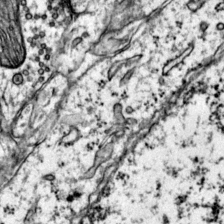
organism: Mouse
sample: Primary visual cortex